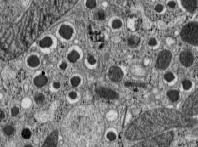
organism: C57BL Mouse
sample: Pancreatic islet